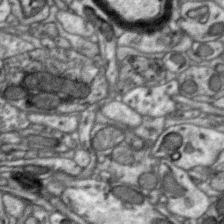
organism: Zebra finch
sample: Brain